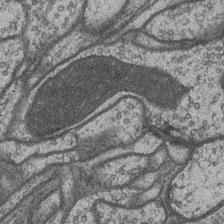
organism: Drosophila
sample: Optic medulla